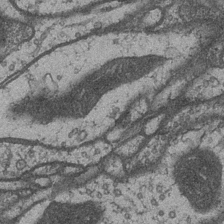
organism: Drosophila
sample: Optic medulla